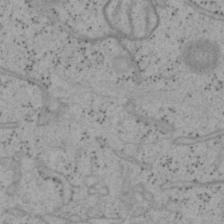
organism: Human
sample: HeLa cells